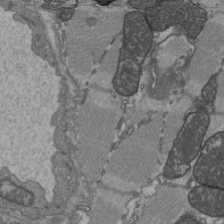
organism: C57BL Mouse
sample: Heart